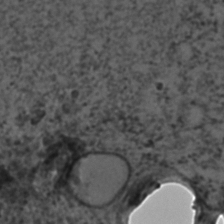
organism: C. elegans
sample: C. elegans embryo